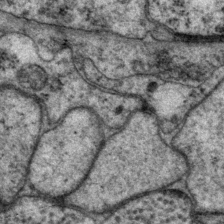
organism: P. pacificus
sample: Pharynx